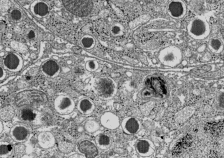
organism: C57BL Mouse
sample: Pancreatic islet